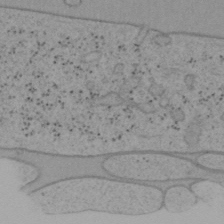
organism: Human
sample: HeLa cells